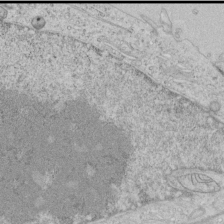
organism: Human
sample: Mitochondria in HCT116 cells